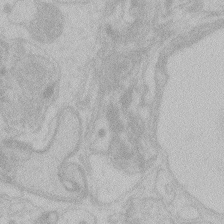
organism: Zebrafish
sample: Macrophage infected with Toxoplasma gondii